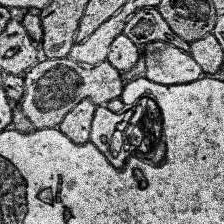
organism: Human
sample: Temporal Lobe